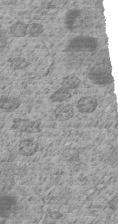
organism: C. elegans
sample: C. elegans embryo early stage